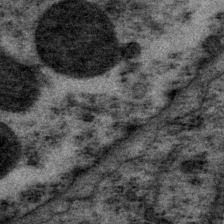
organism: P. pacificus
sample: Pharynx